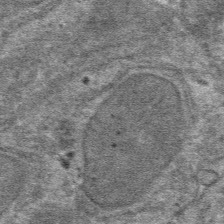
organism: Mouse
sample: Mouse hepatocytes